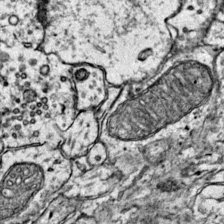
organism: Mouse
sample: Primary visual cortex